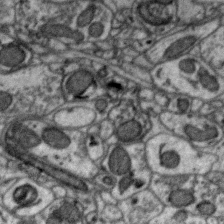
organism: Zebra finch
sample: Brain